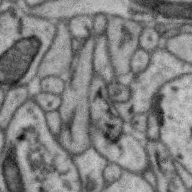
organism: Zebra finch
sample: Brain